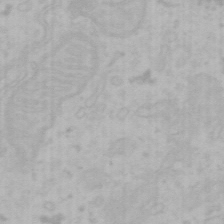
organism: Mouse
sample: Choroid plexus